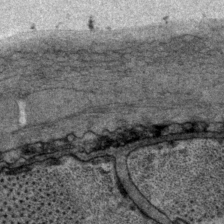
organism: P. pacificus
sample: Pharynx